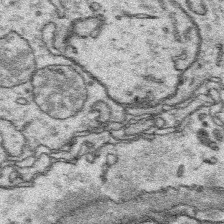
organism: Platynereis dumerilii